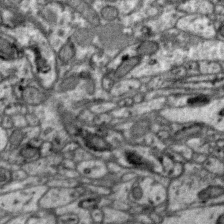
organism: Zebra finch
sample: Brain